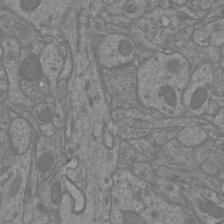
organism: Mouse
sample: Cortical neurons